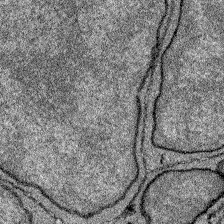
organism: Zebrafish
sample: Larval olfactory bulb